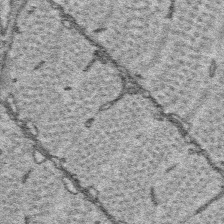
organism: Platynereis dumerilii